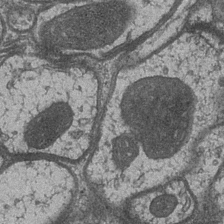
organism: Drosophila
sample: Optic medulla